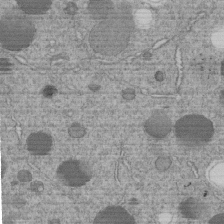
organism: C. elegans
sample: C. elegans embryo early stage